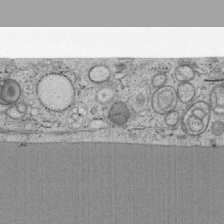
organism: Human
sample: HeLa cells